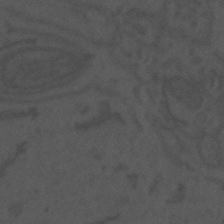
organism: Mouse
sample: Suprachiasmatic nucleus